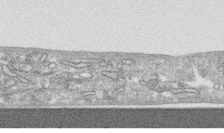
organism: Human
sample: CRL-1474